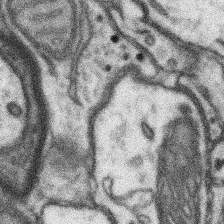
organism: Mouse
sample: Somatosensory cortex neuropil